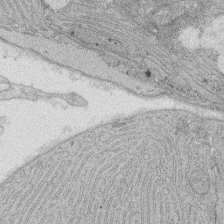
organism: Rat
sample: Salivary granule